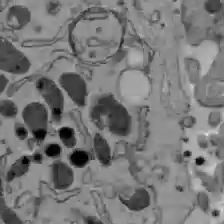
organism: C57BL Mouse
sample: Liver